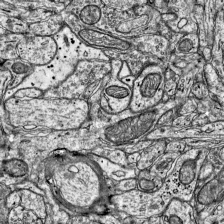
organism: Mouse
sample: Visual Cortex